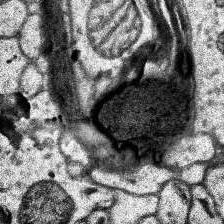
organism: Human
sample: Temporal Lobe